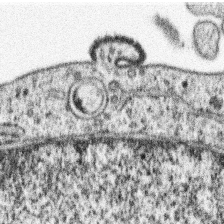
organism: Human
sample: HeLa cells